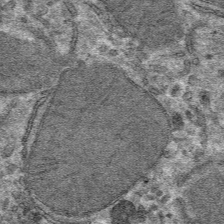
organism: Mouse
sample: Mouse hepatocytes